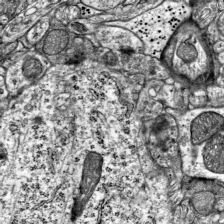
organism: Mouse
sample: Visual Cortex